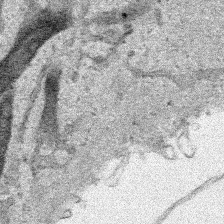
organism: Human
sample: Mitochondria in HCT116 cells